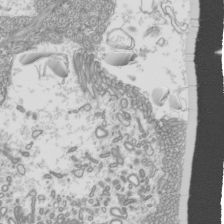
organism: Mouse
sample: Cilia; mouse epididymis